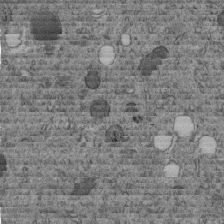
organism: C. elegans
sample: C. elegans embryo early stage